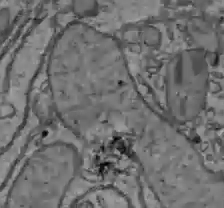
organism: C57BL Mouse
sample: Liver